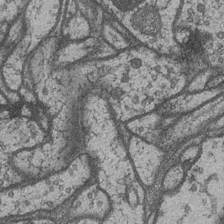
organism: Drosophila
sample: Optic medulla